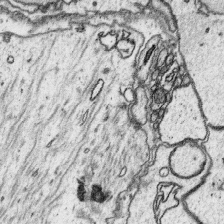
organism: Platynereis dumerilii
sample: Parapodia